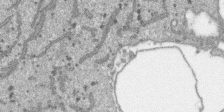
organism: Human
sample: Lung epithelial cells infected with SARS-CoV-2